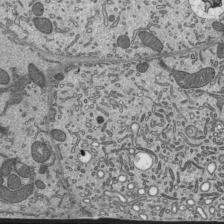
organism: Mouse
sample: Mouse epididymis efferent ductule cilia